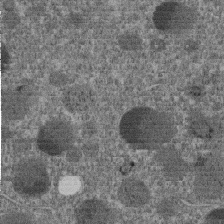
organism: C. elegans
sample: C. elegans embryo early stage